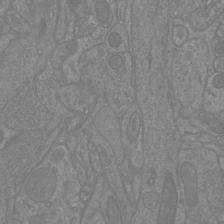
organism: Mouse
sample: Cortical neurons